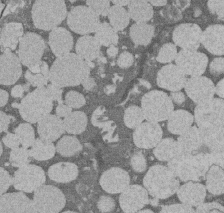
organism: Rat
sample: Salivary granule